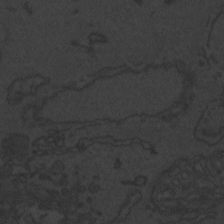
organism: Zebrafish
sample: Macrophage infected with Toxoplasma gondii